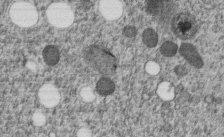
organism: C. elegans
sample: C. elegans embryo early stage